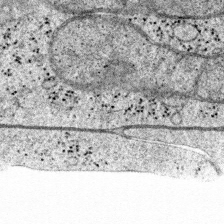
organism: Human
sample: HeLa cells